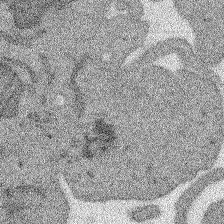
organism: Human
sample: HeLa cells